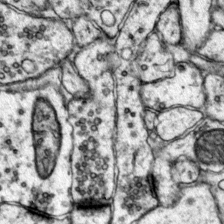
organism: Mouse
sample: Primary visual cortex